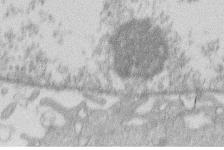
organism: Human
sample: Macrophage cells